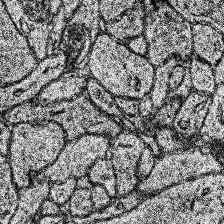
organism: Human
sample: Temporal Lobe